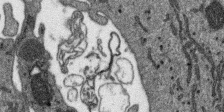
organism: Human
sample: Lung epithelial cells infected with SARS-CoV-2